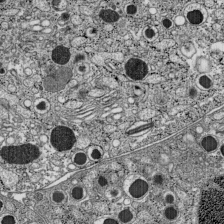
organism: C57BL Mouse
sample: Pancreatic islet